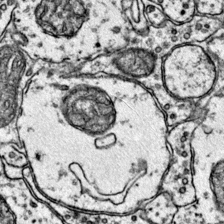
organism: Mouse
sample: Primary visual cortex